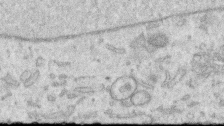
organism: Human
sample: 1205lu cells